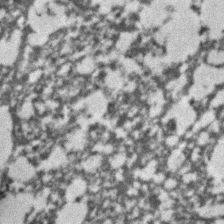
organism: C. elegans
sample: C. elegans embryo